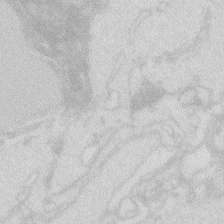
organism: Zebrafish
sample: Macrophage